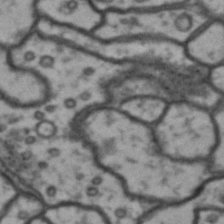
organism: Drosophila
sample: Brain